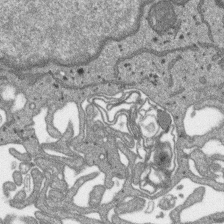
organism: Human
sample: Lung epithelial cells infected with SARS-CoV-2